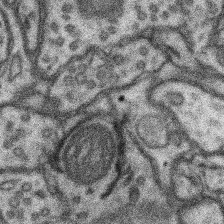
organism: Mouse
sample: Somatosensory cortex neuropil